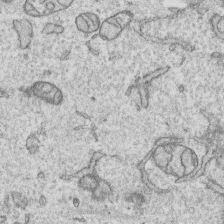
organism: Human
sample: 1205lu cells